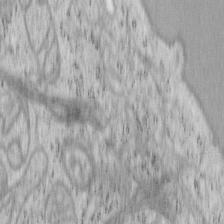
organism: Human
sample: HeLa cells